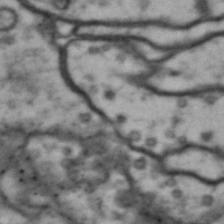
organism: Drosophila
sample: Brain